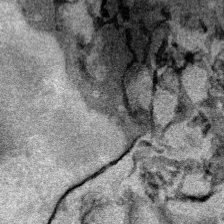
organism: Mouse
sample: Cancer cell death in ED-1 cells